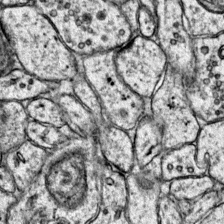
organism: Mouse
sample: Primary visual cortex